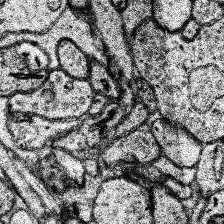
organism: Human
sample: Temporal Lobe